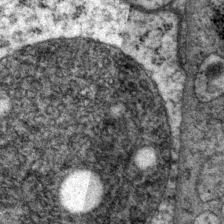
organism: P. pacificus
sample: Pharynx